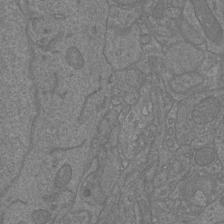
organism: Mouse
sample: Cortical neurons